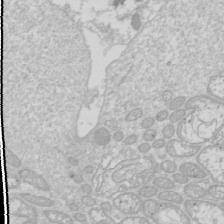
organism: Drosophila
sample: Cell division; meiosis; drosophila spermatocytes